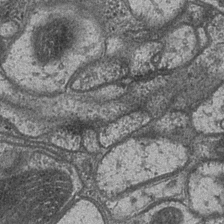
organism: Drosophila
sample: Optic medulla